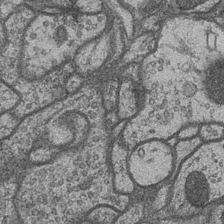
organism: Drosophila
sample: Optic medulla